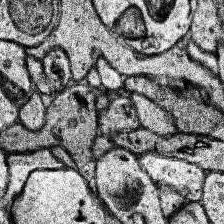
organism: Human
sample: Temporal Lobe